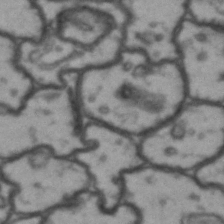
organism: Drosophila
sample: Brain